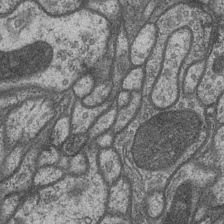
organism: Drosophila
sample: Optic medulla